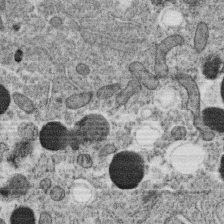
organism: C. elegans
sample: C. elegans oocyte; sperm cells